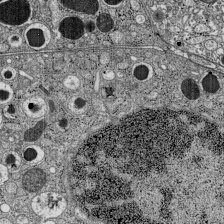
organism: C57BL Mouse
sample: Pancreatic islet